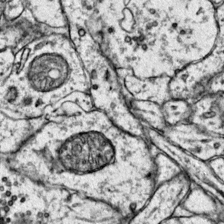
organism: Mouse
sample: Primary visual cortex